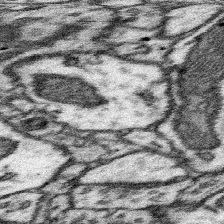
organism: Mouse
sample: Somatosensory cortex neuropil